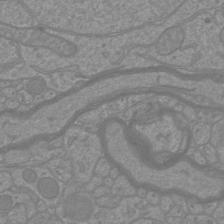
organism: Mouse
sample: Cortical neurons